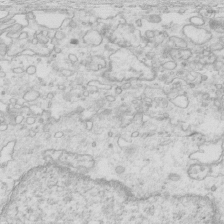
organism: Mouse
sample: Multiciliated cells